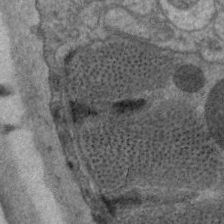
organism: C. elegans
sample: Pharynx